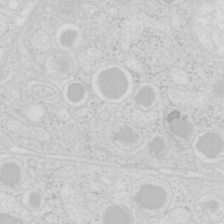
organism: Mouse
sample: Pancreas